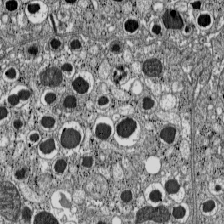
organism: C57BL Mouse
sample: Pancreatic islet